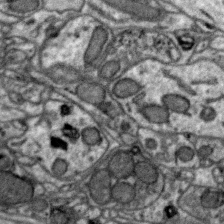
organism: Zebra finch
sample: Brain